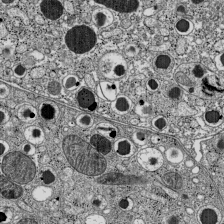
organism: C57BL Mouse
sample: Pancreatic islet